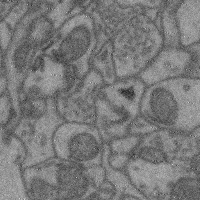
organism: Mouse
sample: Cerebral cortex